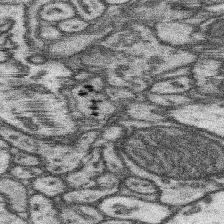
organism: Mouse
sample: Somatosensory cortex neuropil